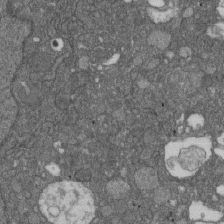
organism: Drosophila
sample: Nephrocyte